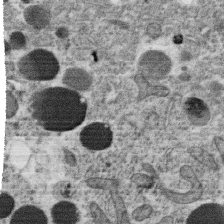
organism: C. elegans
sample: C. elegans oocyte; sperm cells